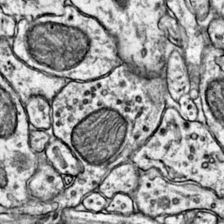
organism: Mouse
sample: Primary visual cortex